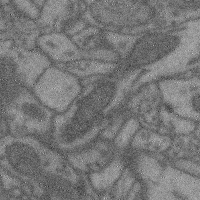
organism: Mouse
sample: Cerebral cortex